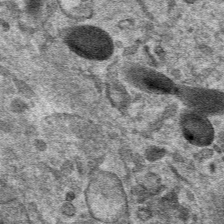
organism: Mouse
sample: Mouse hepatocytes